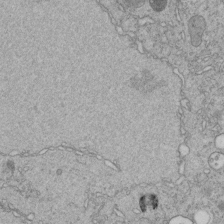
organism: C. elegans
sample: C. elegans embryo early stage